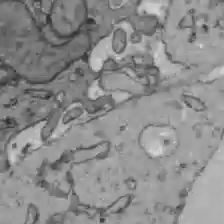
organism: C57BL Mouse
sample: Liver